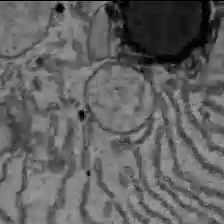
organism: C57BL Mouse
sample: Liver